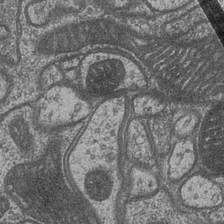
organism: Drosophila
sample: Optic medulla